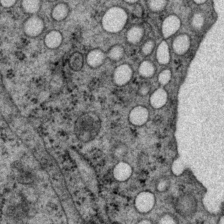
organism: P. pacificus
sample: Pharynx